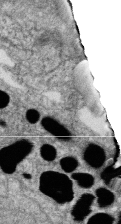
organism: Zebrafish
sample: Cilia; retinal pigment epithelium